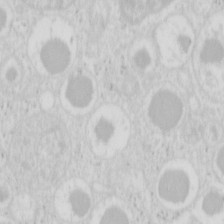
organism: Mouse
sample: Pancreas